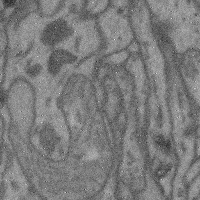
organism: Mouse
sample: Cerebral cortex